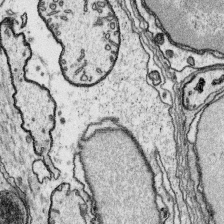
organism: Platynereis dumerilii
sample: Parapodia